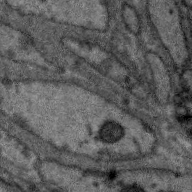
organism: Zebra finch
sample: Brain